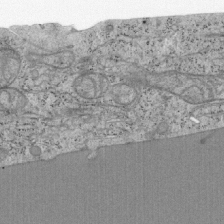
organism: Human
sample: HeLa cells